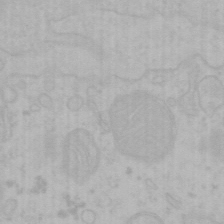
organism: Mouse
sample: Choroid plexus